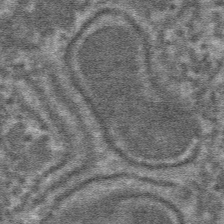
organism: Mouse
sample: Mouse hepatocytes